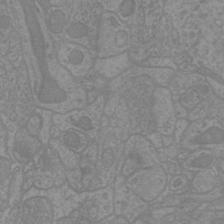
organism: Mouse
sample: Cortical neurons